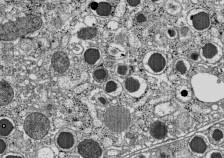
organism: C57BL Mouse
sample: Pancreatic islet